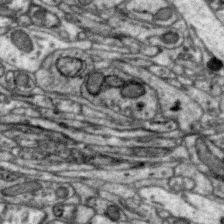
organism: Zebra finch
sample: Brain